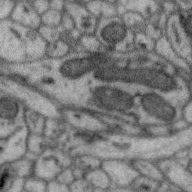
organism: Zebra finch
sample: Brain